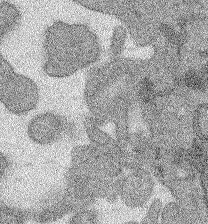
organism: Human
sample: HeLa cells